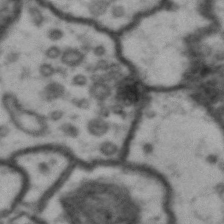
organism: Drosophila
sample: Brain